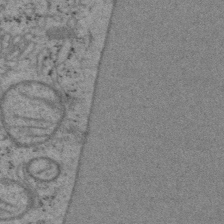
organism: Human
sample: HeLa cells